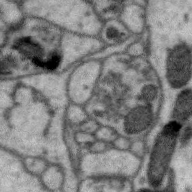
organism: Zebra finch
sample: Brain